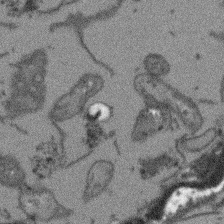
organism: Arabidopsis thaliana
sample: Root tip